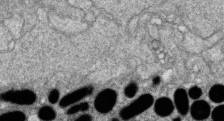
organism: Zebrafish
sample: Cilia; retinal pigment epithelium